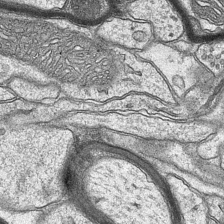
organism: Mouse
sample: CA1 Hippocampus